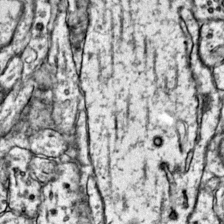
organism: Mouse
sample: Primary visual cortex